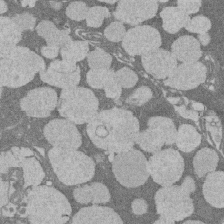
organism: Rat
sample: Salivary granule